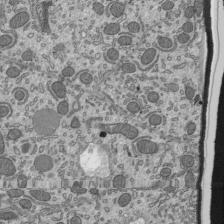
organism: Mouse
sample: Mouse epididymis efferent ductule cilia